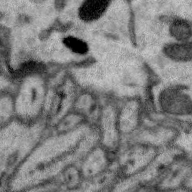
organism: Zebra finch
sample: Brain